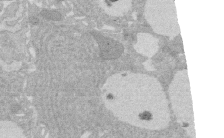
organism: Rat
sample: Salivary granule